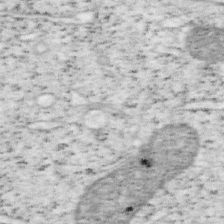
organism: Mouse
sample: OT-I killer T cells with ID8 ovarian cancer cells